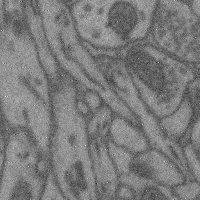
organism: Mouse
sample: Cerebral cortex